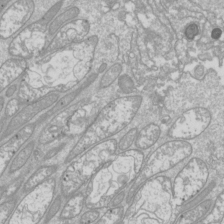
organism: Drosophila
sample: Cell division; meiosis; drosophila spermatocytes